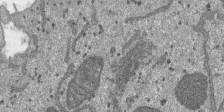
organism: Human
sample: Lung epithelial cells infected with SARS-CoV-2